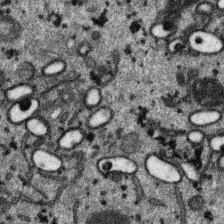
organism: Human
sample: Lung epithelial cells infected with SARS-CoV-2